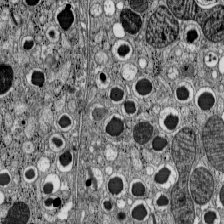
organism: C57BL Mouse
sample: Pancreatic islet